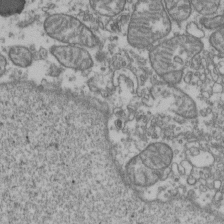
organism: Human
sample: Activated Jurkat CD4+ T cells